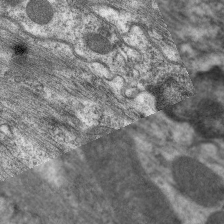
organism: C. elegans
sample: Pharynx